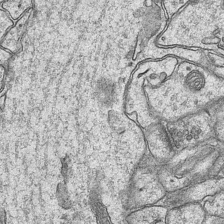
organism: Mouse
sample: CA1 Hippocampus